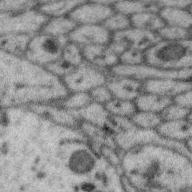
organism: Zebra finch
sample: Brain